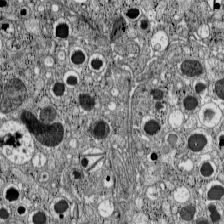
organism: C57BL Mouse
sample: Pancreatic islet